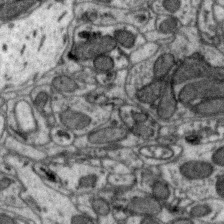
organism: Zebra finch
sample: Brain